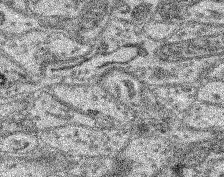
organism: Mouse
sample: Retina